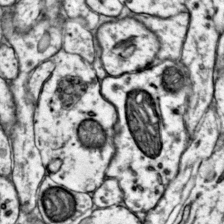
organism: Mouse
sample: Primary visual cortex